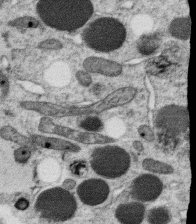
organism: C. elegans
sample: C. elegans oocyte; sperm cells